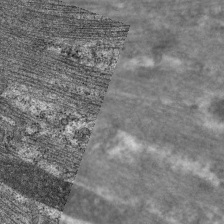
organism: C. elegans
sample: Pharynx